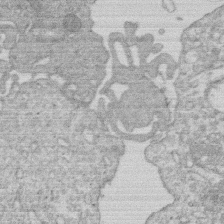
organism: Human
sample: Macrophage cells